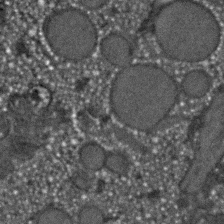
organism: C. elegans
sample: C. elegans embryo